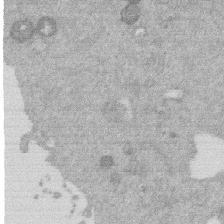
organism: Mouse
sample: Dividing mouse embryo 1 cell stage